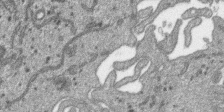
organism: Human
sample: Lung epithelial cells infected with SARS-CoV-2